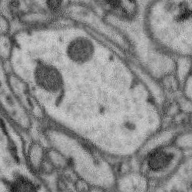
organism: Zebra finch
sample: Brain